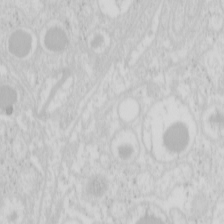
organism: Mouse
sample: Pancreas